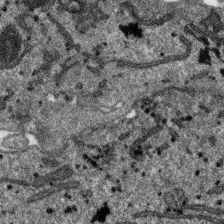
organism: Human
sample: Lung epithelial cells infected with SARS-CoV-2